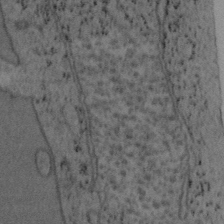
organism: Human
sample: HeLa cells